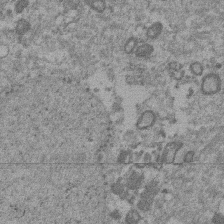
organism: Mouse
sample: Dividing mouse embryo 1 cell stage